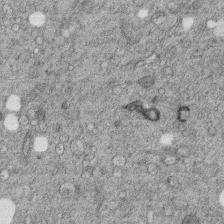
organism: C. elegans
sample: C. elegans embryo early stage